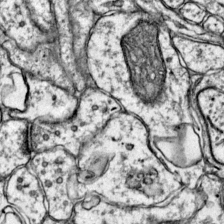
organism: Mouse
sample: Primary visual cortex